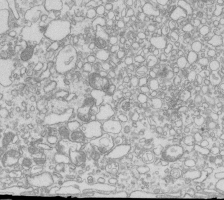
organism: Mouse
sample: Macrophages